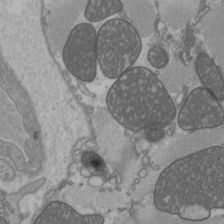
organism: C57BL Mouse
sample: Heart